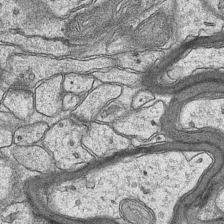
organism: Mouse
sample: CA1 Hippocampus